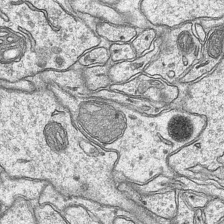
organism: Mouse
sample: CA1 Hippocampus